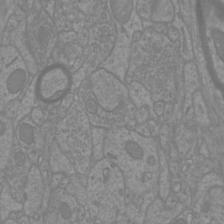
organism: Mouse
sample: Cortical neurons